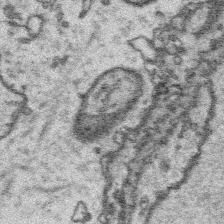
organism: Platynereis dumerilii